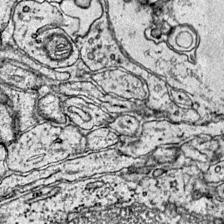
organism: Mouse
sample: Primary visual cortex